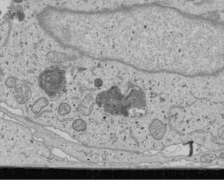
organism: Human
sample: Mitochondria in U2OS cells